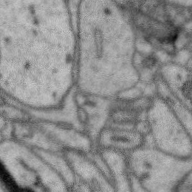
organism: Zebra finch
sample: Brain